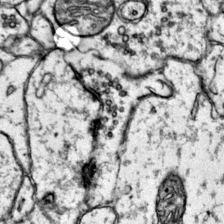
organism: Mouse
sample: Primary visual cortex